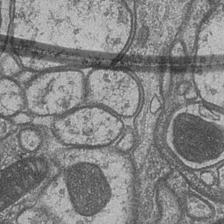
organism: Drosophila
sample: Optic medulla